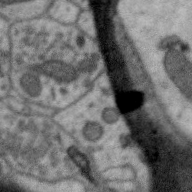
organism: Zebra finch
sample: Brain